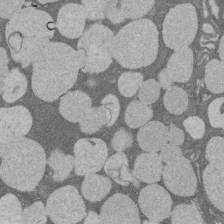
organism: Rat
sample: Salivary granule